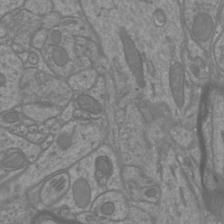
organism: Mouse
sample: Cortical neurons